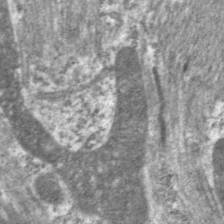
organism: C. elegans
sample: Pharynx